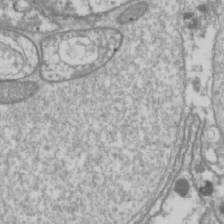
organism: Drosophila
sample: Cell division; meiosis; drosophila spermatocytes